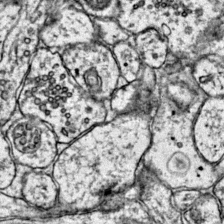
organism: Mouse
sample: Primary visual cortex